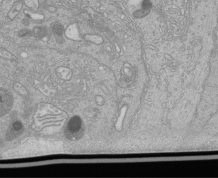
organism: Human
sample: Retinal organoid Rod and Cone cells